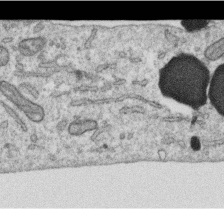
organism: Human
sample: Centriole in RPE cells